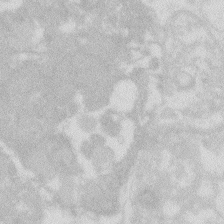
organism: Zebrafish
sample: Macrophage